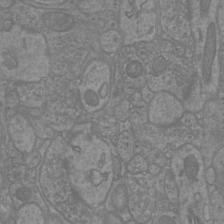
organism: Mouse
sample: Cortical neurons